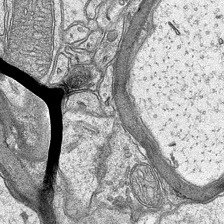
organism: Mouse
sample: CA1 Hippocampus